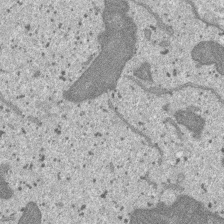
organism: Human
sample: Lung epithelial cells infected with SARS-CoV-2